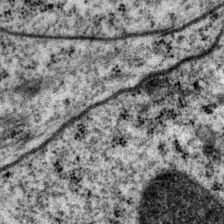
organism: P. pacificus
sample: Pharynx